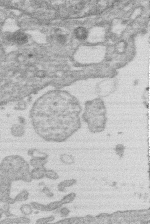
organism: Human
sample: Macrophage cells